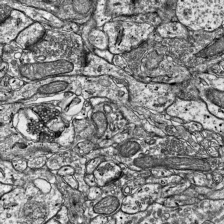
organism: Mouse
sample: Visual Cortex